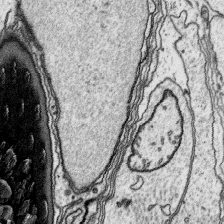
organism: Platynereis dumerilii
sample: Parapodia